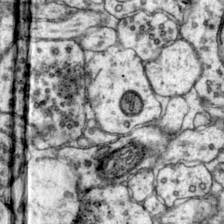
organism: Mouse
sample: Primary visual cortex